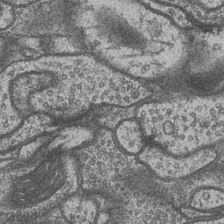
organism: Drosophila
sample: Optic medulla